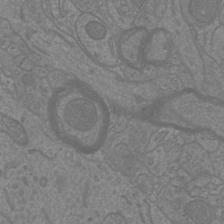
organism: Mouse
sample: Cortical neurons